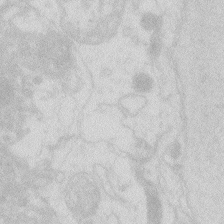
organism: Zebrafish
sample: Macrophage